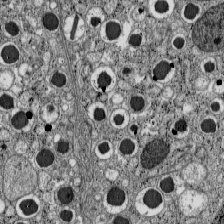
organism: C57BL Mouse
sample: Pancreatic islet